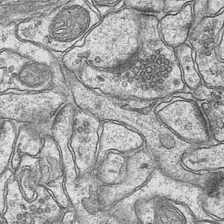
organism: Mouse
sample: CA1 Hippocampus